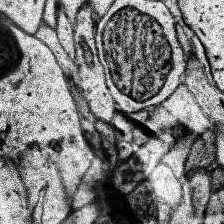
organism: Human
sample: Temporal Lobe